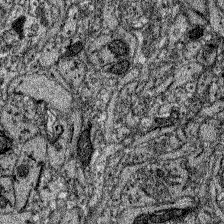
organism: Zebrafish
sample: Larval olfactory bulb